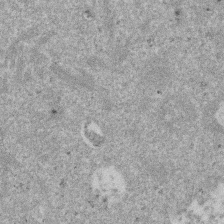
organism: Mouse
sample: Dividing mouse embryo 1 cell stage